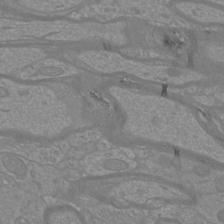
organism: Mouse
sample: Cortical neurons